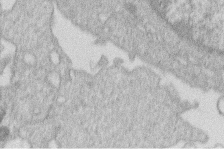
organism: Human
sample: Macrophage cells